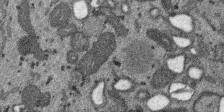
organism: Human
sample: Lung epithelial cells infected with SARS-CoV-2